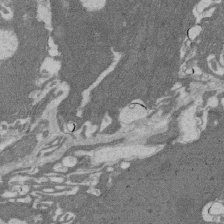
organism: Rat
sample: Salivary granule